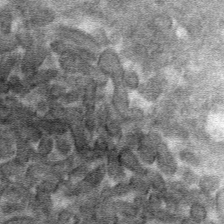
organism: Mouse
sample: Mouse hepatocytes